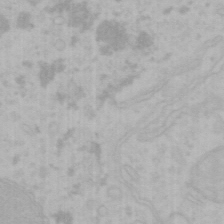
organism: Mouse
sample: Choroid plexus